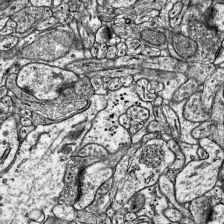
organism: Mouse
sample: Visual Cortex